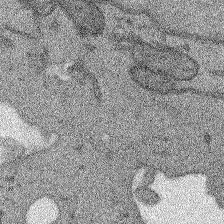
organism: Human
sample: HeLa cells